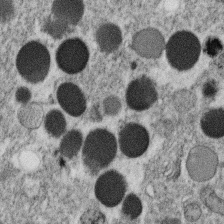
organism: C. elegans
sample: C. elegans oocyte; sperm cells